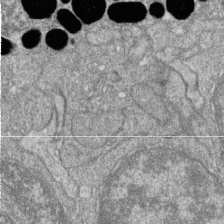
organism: Zebrafish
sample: Cilia; retinal pigment epithelium